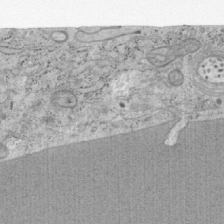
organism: Human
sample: HeLa cells